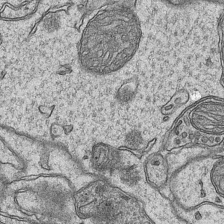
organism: Mouse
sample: CA1 Hippocampus